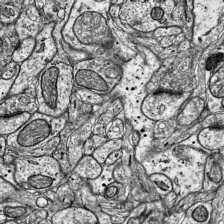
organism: Mouse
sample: Visual Cortex